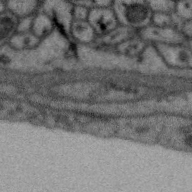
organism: Zebra finch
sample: Brain